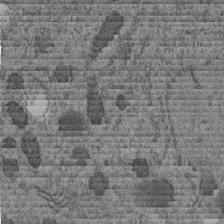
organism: C. elegans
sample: C. elegans embryo early stage